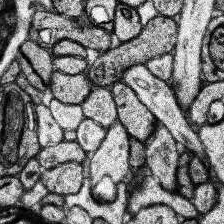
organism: Human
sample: Temporal Lobe